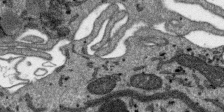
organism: Human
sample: Lung epithelial cells, uninfected (mock) control